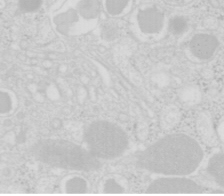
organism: Mouse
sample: Pancreas